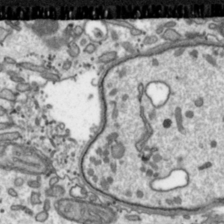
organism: Toxoplasma gondii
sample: Parasites in a vacuole inside a host cell